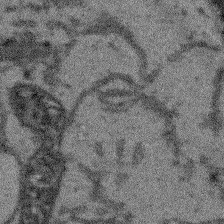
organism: Arabidopsis thaliana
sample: Root tip